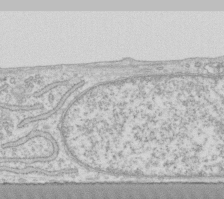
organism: Human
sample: Fibroblast cells